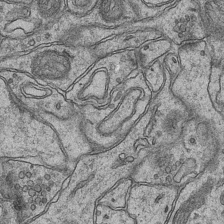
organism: Mouse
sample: CA1 Hippocampus